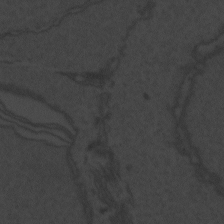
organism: Zebrafish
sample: Macrophage infected with Toxoplasma gondii